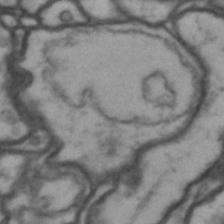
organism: Drosophila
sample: Brain